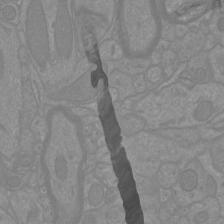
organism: Mouse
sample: Cortical neurons